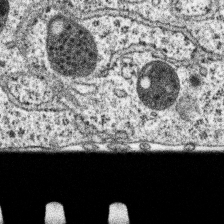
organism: Human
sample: HeLa cells